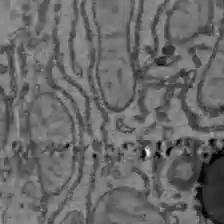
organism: C57BL Mouse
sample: Liver